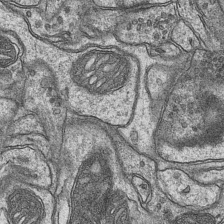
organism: Mouse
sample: CA1 Hippocampus